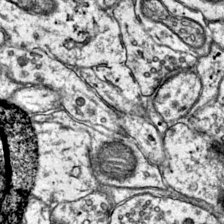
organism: Mouse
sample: Primary visual cortex